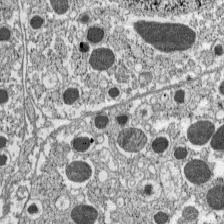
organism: C57BL Mouse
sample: Pancreatic islet